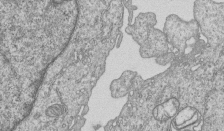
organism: Human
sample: MDA-MB-231 cells